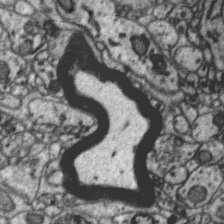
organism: Zebra finch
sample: Brain